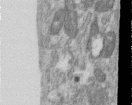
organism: Human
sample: Centriole in RPE cells